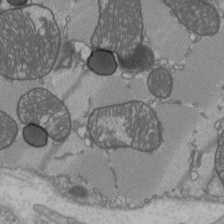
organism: C57BL Mouse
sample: Heart